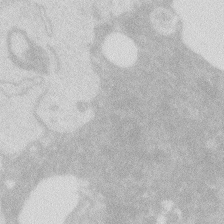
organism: Zebrafish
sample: Macrophage